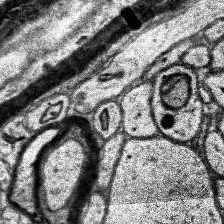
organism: Human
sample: Temporal Lobe